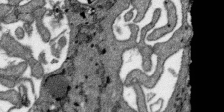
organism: Human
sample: Lung epithelial cells, uninfected (mock) control